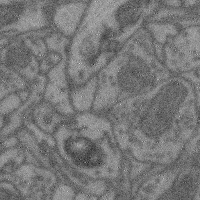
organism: Mouse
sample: Cerebral cortex